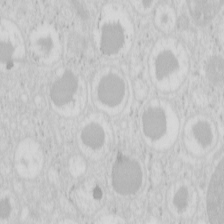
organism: Mouse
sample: Pancreas